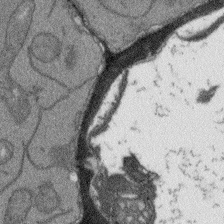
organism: Arabidopsis thaliana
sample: Root tip